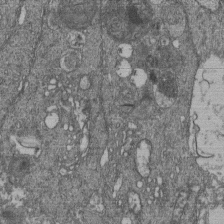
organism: Human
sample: Retinal organoid Rod and Cone cells